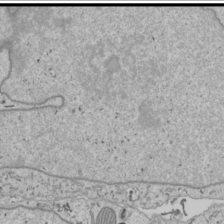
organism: Human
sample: Mitochondria in U2OS cells